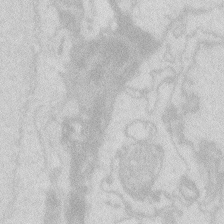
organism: Zebrafish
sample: Macrophage